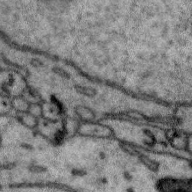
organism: Zebra finch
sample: Brain